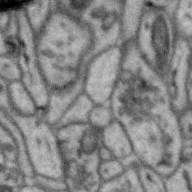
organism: Zebra finch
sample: Brain